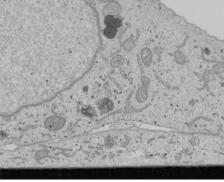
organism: Human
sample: Mitochondria in U2OS cells